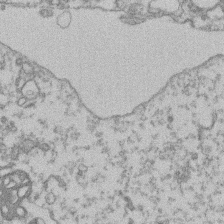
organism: Mouse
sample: T cell stromal cell synapse